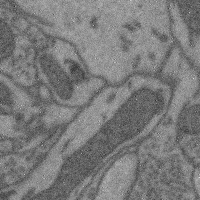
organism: Mouse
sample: Cerebral cortex